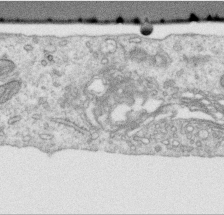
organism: Human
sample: Centriole in RPE cells